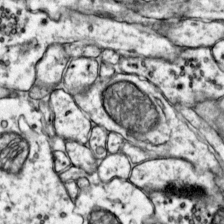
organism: Mouse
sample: Primary visual cortex